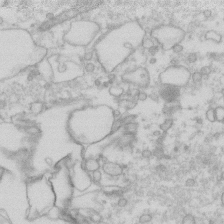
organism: Human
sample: Fibroblast cells